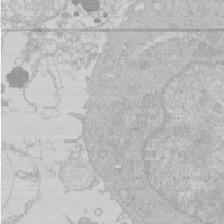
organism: Human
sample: Macrophage cells